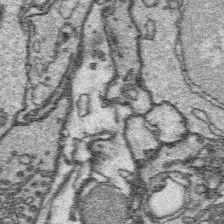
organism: Platynereis dumerilii